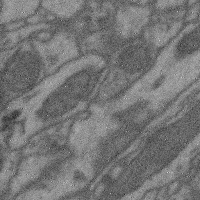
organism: Mouse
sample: Cerebral cortex